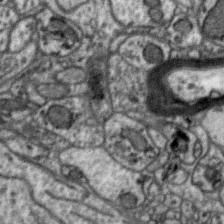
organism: Zebra finch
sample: Brain